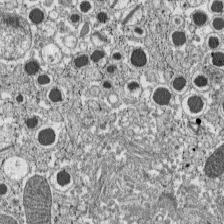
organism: C57BL Mouse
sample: Pancreatic islet